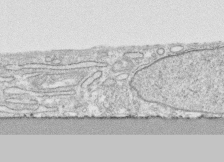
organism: Human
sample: CRL-1474